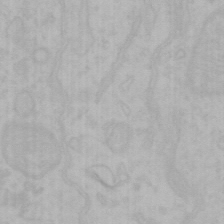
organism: Mouse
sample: Choroid plexus